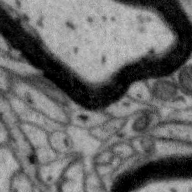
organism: Zebra finch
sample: Brain